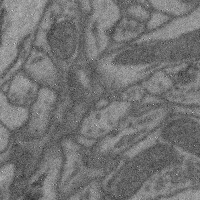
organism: Mouse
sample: Cerebral cortex